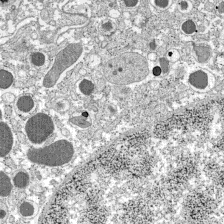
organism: C57BL Mouse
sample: Pancreatic islet